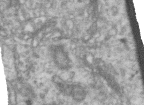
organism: Human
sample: Centriole in RPE cells